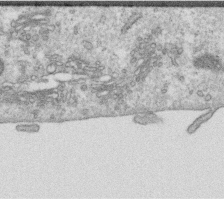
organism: Human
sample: Centriole in RPE cells